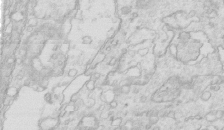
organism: Mouse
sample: Multiciliated cells